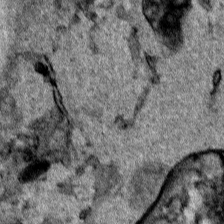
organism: Human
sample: Mitochondria in HCT116 cells